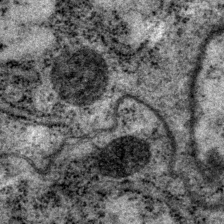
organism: P. pacificus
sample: Pharynx